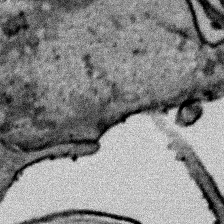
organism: Human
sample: Mitochondria in HCT116 cells